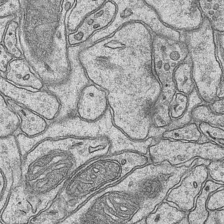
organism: Mouse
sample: CA1 Hippocampus